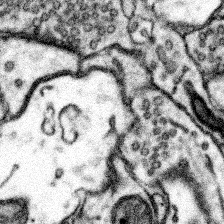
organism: Mouse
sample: Somatosensory cortex neuropil